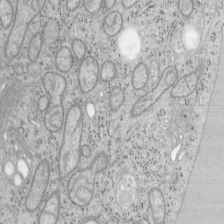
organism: Mouse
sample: OT-I killer T cells with ID8 ovarian cancer cells